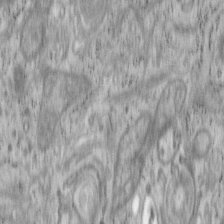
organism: Human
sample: HeLa cells